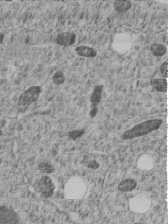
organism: C. elegans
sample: C. elegans embryo early stage